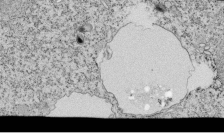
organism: Tetrahymena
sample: Cilia in tetrahymena